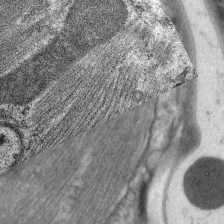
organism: C. elegans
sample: Pharynx